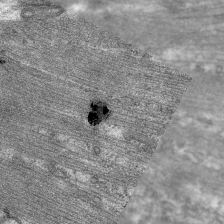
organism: C. elegans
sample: Pharynx